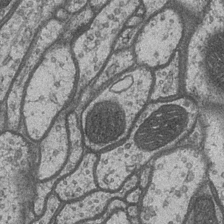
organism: Drosophila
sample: Optic medulla